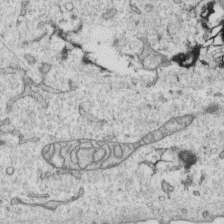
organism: Human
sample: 1205lu cells